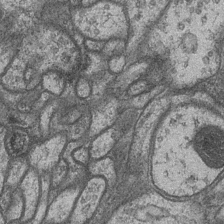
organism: Drosophila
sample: Optic medulla